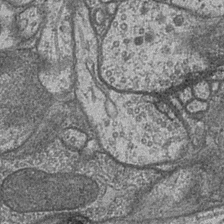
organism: Drosophila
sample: Optic medulla